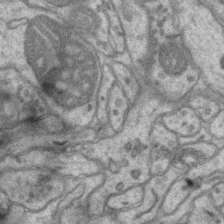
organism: Mouse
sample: CA1 Hippocampus